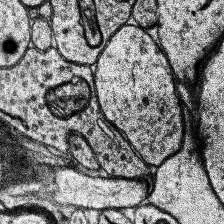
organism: Human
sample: Temporal Lobe